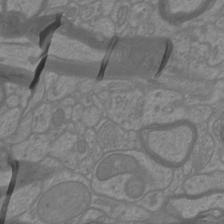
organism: Mouse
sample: Cortical neurons